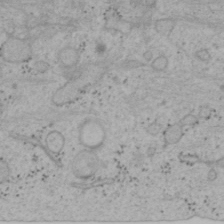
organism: Human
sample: HeLa cells